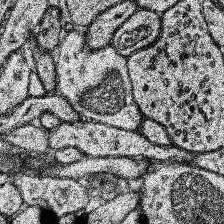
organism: Human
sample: Temporal Lobe